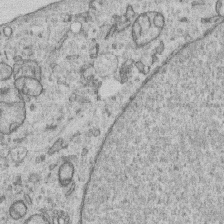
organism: Human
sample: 1205lu cells